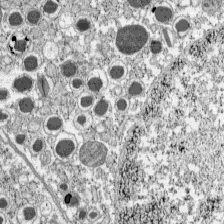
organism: C57BL Mouse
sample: Pancreatic islet